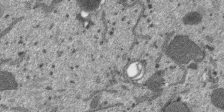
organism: Human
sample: Lung epithelial cells infected with SARS-CoV-2